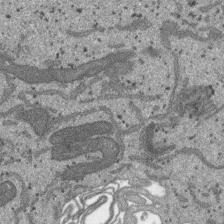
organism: Human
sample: Lung epithelial cells infected with SARS-CoV-2